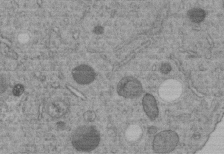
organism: C. elegans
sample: C. elegans embryo early stage